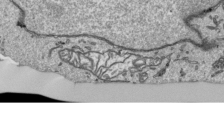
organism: Human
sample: Mitochondria in HCT116 cells